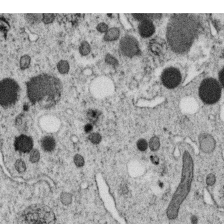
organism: C. elegans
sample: C. elegans oocyte; sperm cells